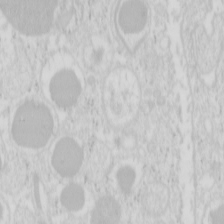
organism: Mouse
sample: Pancreas